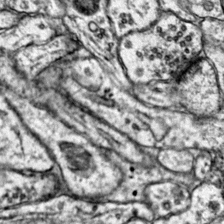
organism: Mouse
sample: Primary visual cortex